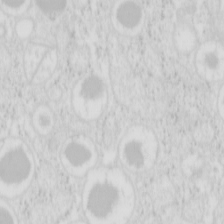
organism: Mouse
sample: Pancreas